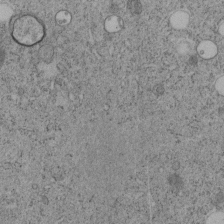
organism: C. elegans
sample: C. elegans embryo early stage